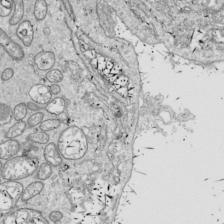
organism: Drosophila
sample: Cell division; meiosis; drosophila spermatocytes